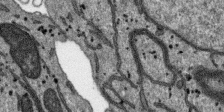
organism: Human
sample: Lung epithelial cells, uninfected (mock) control